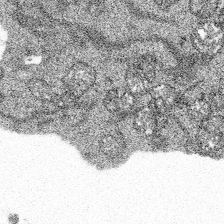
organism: Spongilla lacustris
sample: Multiple